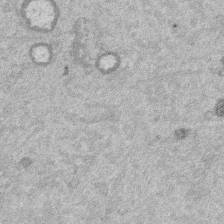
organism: Mouse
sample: Dividing mouse embryo 1 cell stage